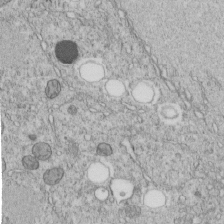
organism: C. elegans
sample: C. elegans embryo early stage